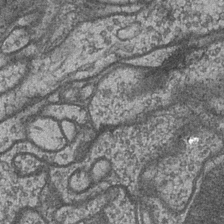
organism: Drosophila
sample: Optic medulla